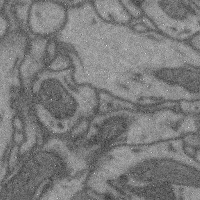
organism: Mouse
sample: Cerebral cortex